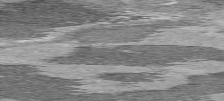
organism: C57BL Mouse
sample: Heart